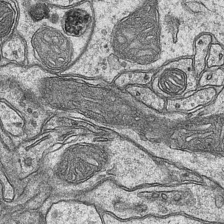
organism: Mouse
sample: CA1 Hippocampus